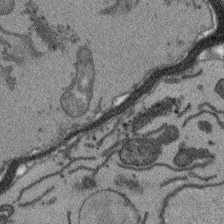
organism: Arabidopsis thaliana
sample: Root tip